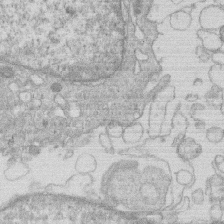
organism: Human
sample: Macrophage cells